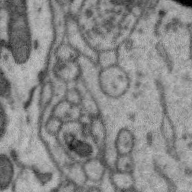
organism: Zebra finch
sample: Brain